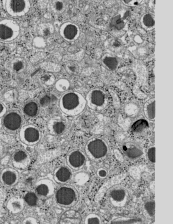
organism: C57BL Mouse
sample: Pancreatic islet